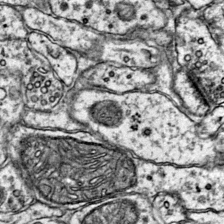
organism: Mouse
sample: Primary visual cortex